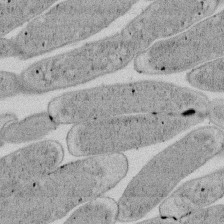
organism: E. coli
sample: Bacterial nucleoid